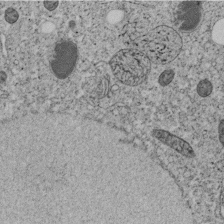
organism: C. elegans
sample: C. elegans embryo early stage